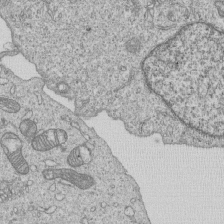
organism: Human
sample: MDA-MB-231 cells